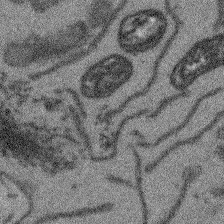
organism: Arabidopsis thaliana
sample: Root tip